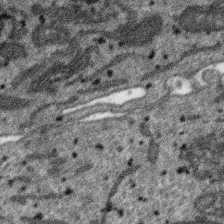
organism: Human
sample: Lung epithelial cells infected with SARS-CoV-2